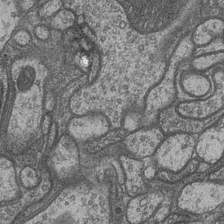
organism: Drosophila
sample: Optic medulla